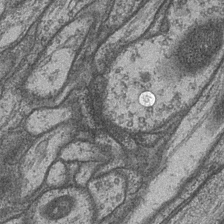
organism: Drosophila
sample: Optic medulla